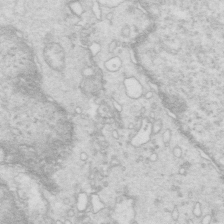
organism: Mouse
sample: Multiciliated cells